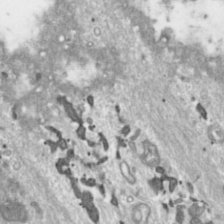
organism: Toxoplasma gondii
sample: Parasites in a vacuole inside a host cell